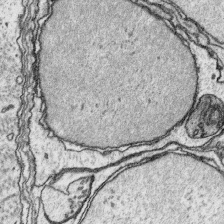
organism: Platynereis dumerilii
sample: Parapodia